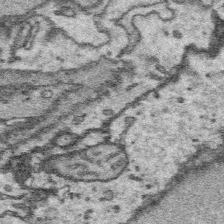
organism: Platynereis dumerilii